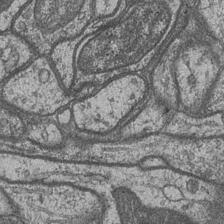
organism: Drosophila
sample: Optic medulla